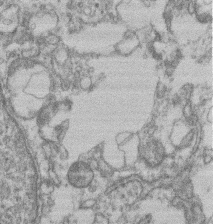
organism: Mouse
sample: T cell stromal cell synapse